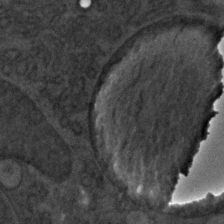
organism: C. elegans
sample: C. elegans embryo